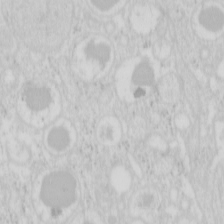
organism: Mouse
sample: Pancreas